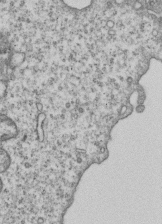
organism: Human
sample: MDA-MB-231 cells